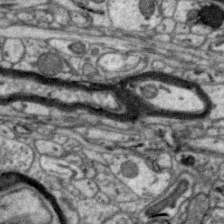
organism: Zebra finch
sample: Brain